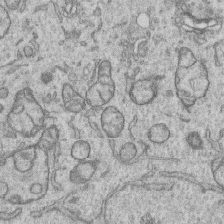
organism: Human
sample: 1205lu cells